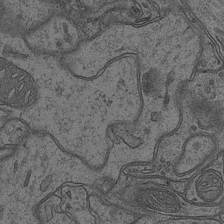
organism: Mouse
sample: CA1 Hippocampus